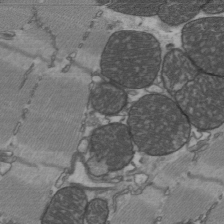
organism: C57BL Mouse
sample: Heart